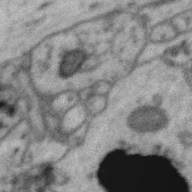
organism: Zebra finch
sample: Brain